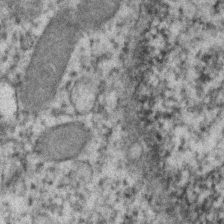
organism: Human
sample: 1205lu cells